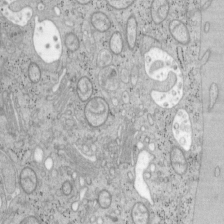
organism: Mouse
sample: OT-I killer T cells with ID8 ovarian cancer cells